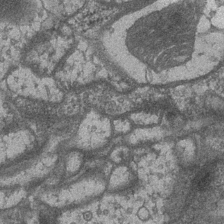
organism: Drosophila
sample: Optic medulla